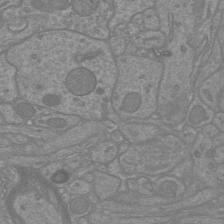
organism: Mouse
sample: Cortical neurons